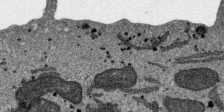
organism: Human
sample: Lung epithelial cells, uninfected (mock) control